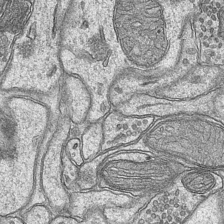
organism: Mouse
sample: CA1 Hippocampus